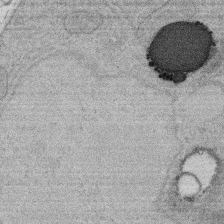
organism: Rat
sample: Salivary granule